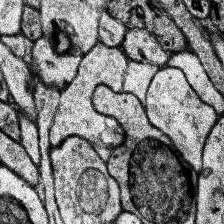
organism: Human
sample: Temporal Lobe